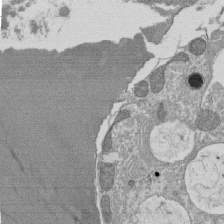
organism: Tetrahymena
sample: Cilia in tetrahymena